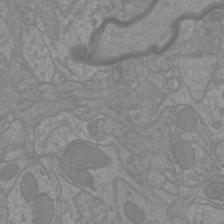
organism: Mouse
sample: Cortical neurons